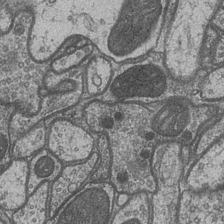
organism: Drosophila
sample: Optic medulla